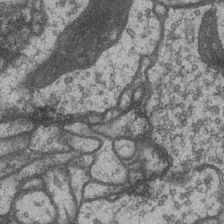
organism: Drosophila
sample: Optic medulla